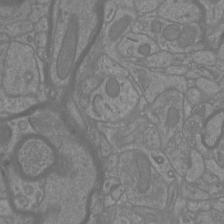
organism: Mouse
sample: Cortical neurons